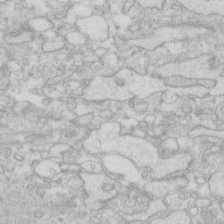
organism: Human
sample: Fibroblast cells